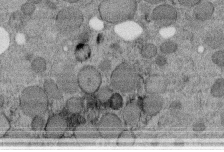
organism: C. elegans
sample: C. elegans embryo early stage